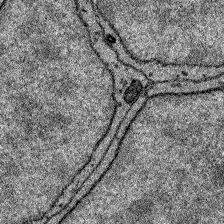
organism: Zebrafish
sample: Larval olfactory bulb